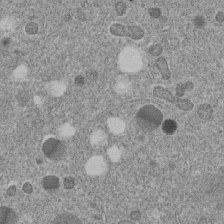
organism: C. elegans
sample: C. elegans embryo early stage